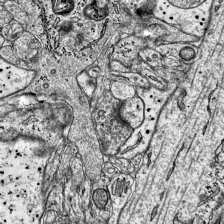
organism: Mouse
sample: Visual Cortex